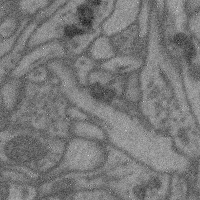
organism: Mouse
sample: Cerebral cortex